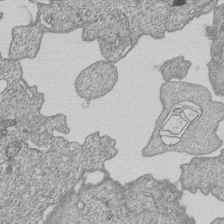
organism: Human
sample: MDA-MB-231 cells